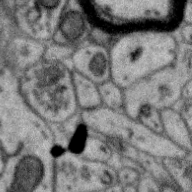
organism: Zebra finch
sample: Brain